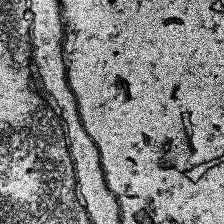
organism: Human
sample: Temporal Lobe